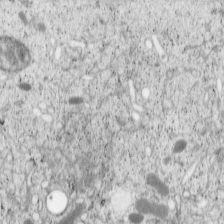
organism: African green monkey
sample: COS-7 cells